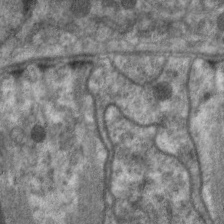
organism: C. elegans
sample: Pharynx